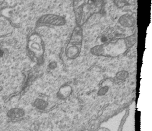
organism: Human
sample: MDA-MB-231 cells